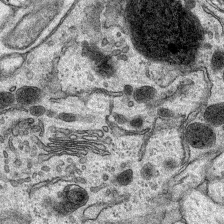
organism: Rat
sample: Hippocampus